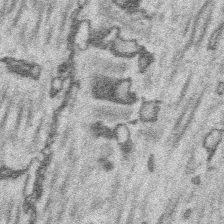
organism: Platynereis dumerilii